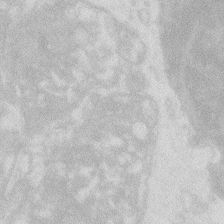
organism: Zebrafish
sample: Macrophage